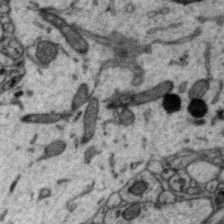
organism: Zebra finch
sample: Brain